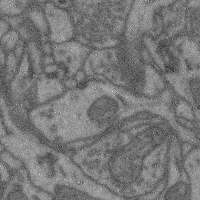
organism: Mouse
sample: Cerebral cortex